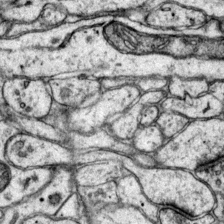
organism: Mouse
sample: Primary visual cortex